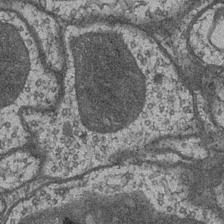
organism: Drosophila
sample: Optic medulla